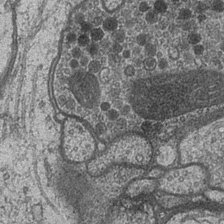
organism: Drosophila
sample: Optic medulla